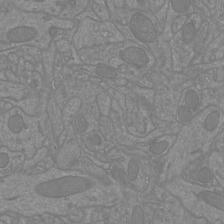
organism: Mouse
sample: Cortical neurons